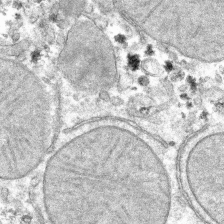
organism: Mouse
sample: Mouse hepatocytes